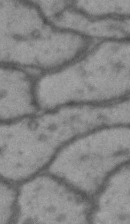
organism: Drosophila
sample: Brain